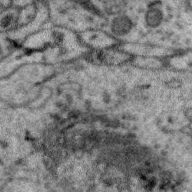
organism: Zebra finch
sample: Brain